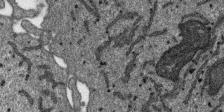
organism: Human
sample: Lung epithelial cells infected with SARS-CoV-2